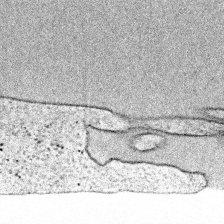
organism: Human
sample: HeLa cells